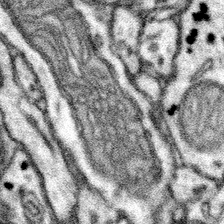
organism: Mouse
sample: Somatosensory cortex neuropil